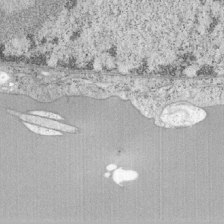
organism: Human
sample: HeLa cells